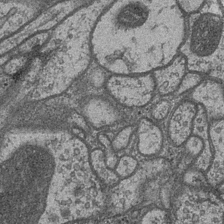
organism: Drosophila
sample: Optic medulla